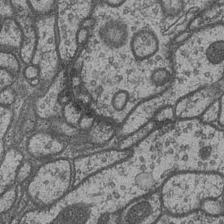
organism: Drosophila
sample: Optic medulla